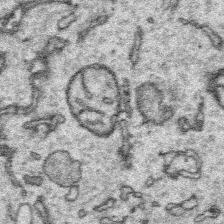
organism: Platynereis dumerilii